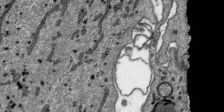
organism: Human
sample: Lung epithelial cells, uninfected (mock) control